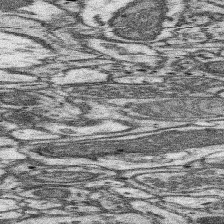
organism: Mouse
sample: Somatosensory cortex neuropil